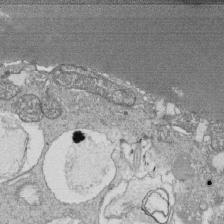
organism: Tetrahymena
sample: Cilia in tetrahymena